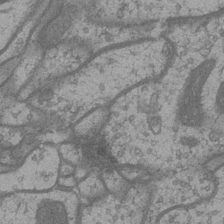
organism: Drosophila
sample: Optic medulla